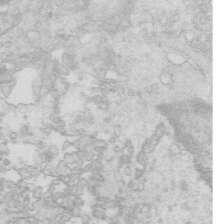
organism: Mouse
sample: Multiciliated cells